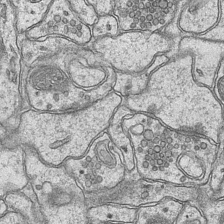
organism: Mouse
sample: CA1 Hippocampus